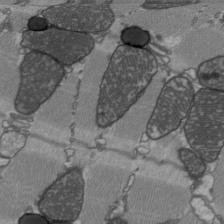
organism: C57BL Mouse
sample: Heart